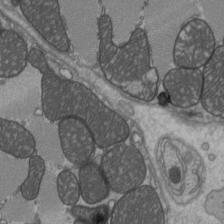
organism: C57BL Mouse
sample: Heart